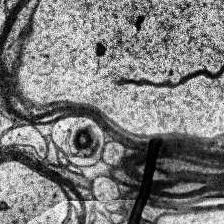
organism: Human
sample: Temporal Lobe